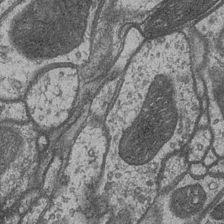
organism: Drosophila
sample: Optic medulla